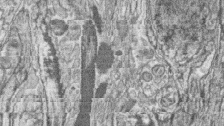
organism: Zebrafish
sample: synaptic ribbons in rod cells and cone cells